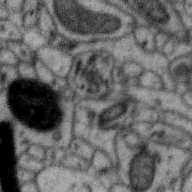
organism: Zebra finch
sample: Brain